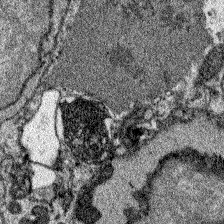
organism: Zebrafish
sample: Larval olfactory bulb